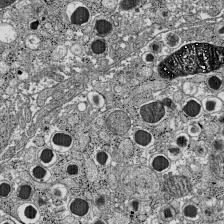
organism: C57BL Mouse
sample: Pancreatic islet